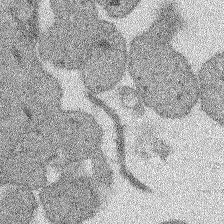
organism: Human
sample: HeLa cells